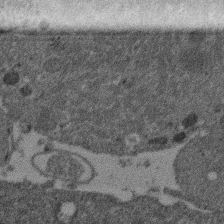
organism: Mouse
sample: Dividing mouse embryo 1 cell stage